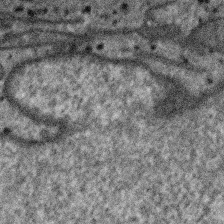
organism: Human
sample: Lung epithelial cells infected with SARS-CoV-2